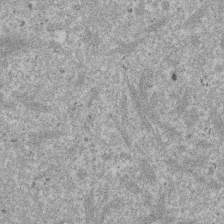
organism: Mouse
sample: Dividing mouse embryo 1 cell stage